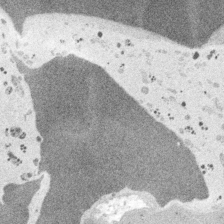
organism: Embia sp.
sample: Silk gland